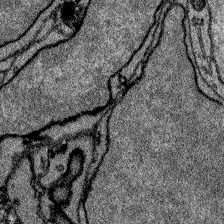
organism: Zebrafish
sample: Larval olfactory bulb